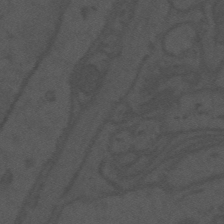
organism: Mouse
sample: Suprachiasmatic nucleus